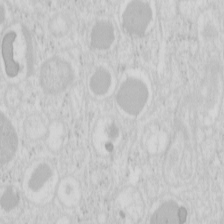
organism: Mouse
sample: Pancreas